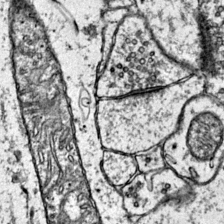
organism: Mouse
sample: Primary visual cortex